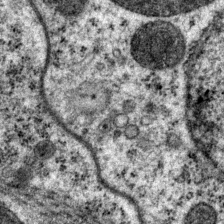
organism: P. pacificus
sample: Pharynx